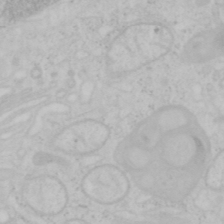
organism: Mouse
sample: OT-I killer T cells with ID8 ovarian cancer cells